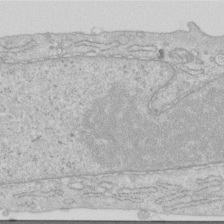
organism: Human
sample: Centriole in RPE cells